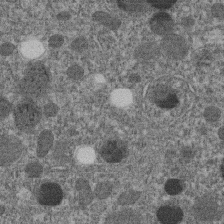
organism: C. elegans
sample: C. elegans embryo early stage